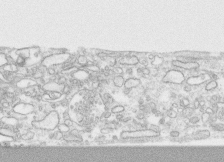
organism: Human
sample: CRL-1474